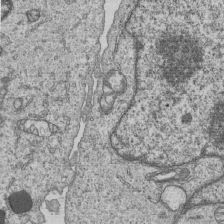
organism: Human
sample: MDA-MB-231 cells